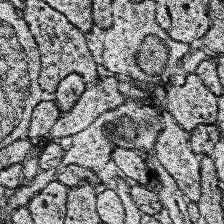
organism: Human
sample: Temporal Lobe